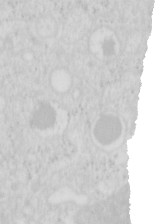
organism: Mouse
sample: Pancreas